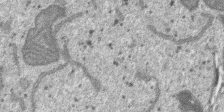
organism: Human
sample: Lung epithelial cells infected with SARS-CoV-2